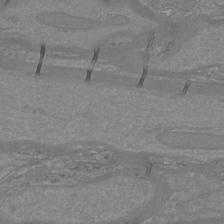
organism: Mouse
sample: Cortical neurons